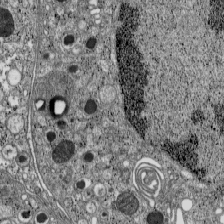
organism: C57BL Mouse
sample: Pancreatic islet